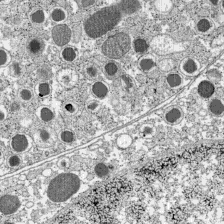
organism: C57BL Mouse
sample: Pancreatic islet